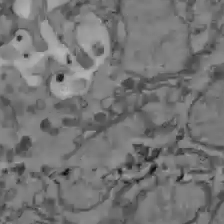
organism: C57BL Mouse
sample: Liver